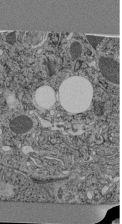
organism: C. elegans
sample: C. elegans pharynx